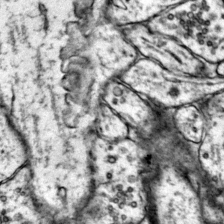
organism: Mouse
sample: Primary visual cortex